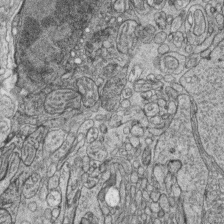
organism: Zebrafish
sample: synaptic ribbons in rod cells and cone cells